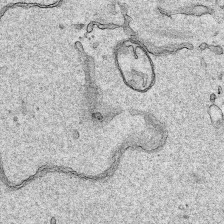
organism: Human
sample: Mitochondria in HCT116 cells